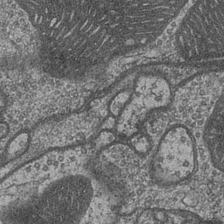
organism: Drosophila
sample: Optic medulla